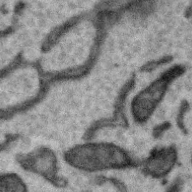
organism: Zebra finch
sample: Brain